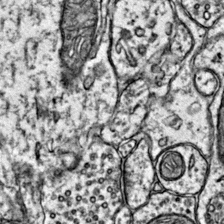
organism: Mouse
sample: Primary visual cortex